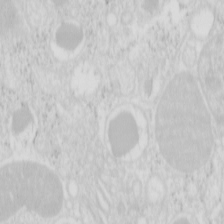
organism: Mouse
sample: Pancreas